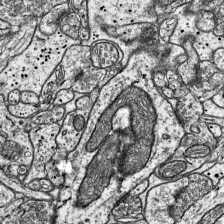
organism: Mouse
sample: Visual Cortex